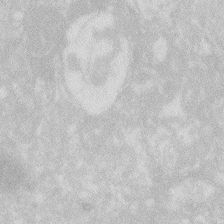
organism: Zebrafish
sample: Macrophage